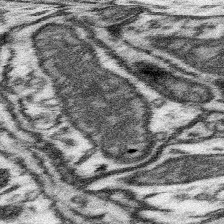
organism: Mouse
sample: Somatosensory cortex neuropil